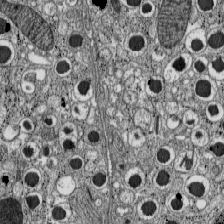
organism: C57BL Mouse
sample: Pancreatic islet